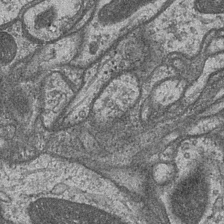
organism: Drosophila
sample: Optic medulla